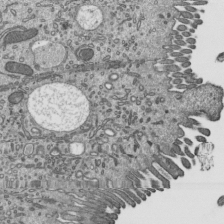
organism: Mouse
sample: Mouse epididymis efferent ductule cilia